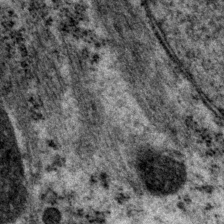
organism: P. pacificus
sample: Pharynx